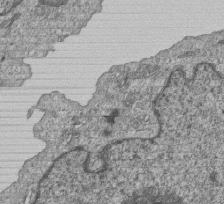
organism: Human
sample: MDA-MB-231 cells